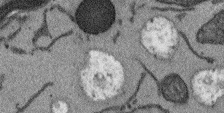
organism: Arabidopsis thaliana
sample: Root tip